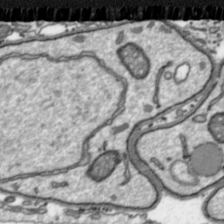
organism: Toxoplasma gondii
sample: Parasites in a vacuole inside a host cell